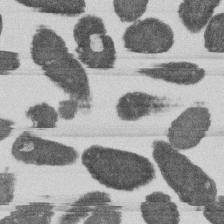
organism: E. coli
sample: Bacterial nucleoid